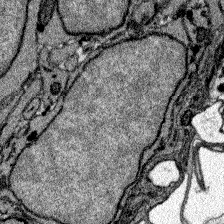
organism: Zebrafish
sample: Larval olfactory bulb